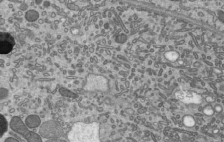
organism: Mouse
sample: Mouse epididymis efferent ductule cilia